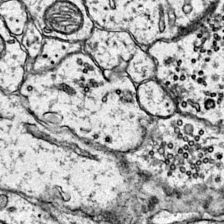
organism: Mouse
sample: Primary visual cortex